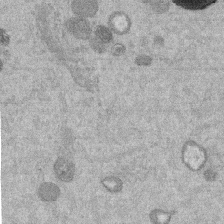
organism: Mouse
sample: Dividing mouse embryo 1 cell stage